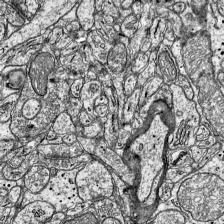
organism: Mouse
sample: Visual Cortex